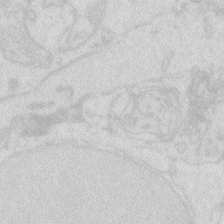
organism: Zebrafish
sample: Macrophage